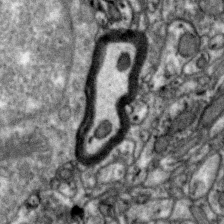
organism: Zebra finch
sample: Brain